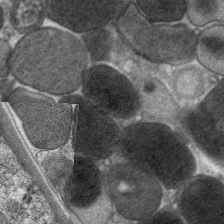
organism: C. elegans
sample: Pharynx